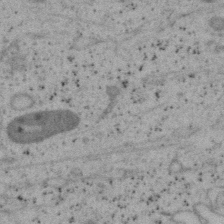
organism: Human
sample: HeLa cells